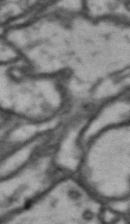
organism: Drosophila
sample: Brain